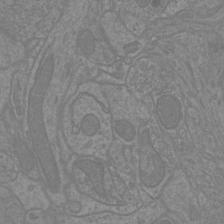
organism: Mouse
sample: Cortical neurons